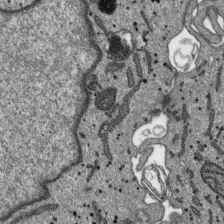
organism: Human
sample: Lung epithelial cells, uninfected (mock) control